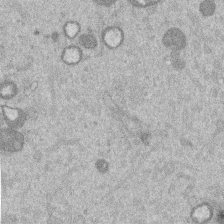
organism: Mouse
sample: Dividing mouse embryo 1 cell stage